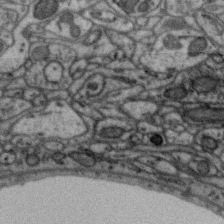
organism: Zebra finch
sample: Brain